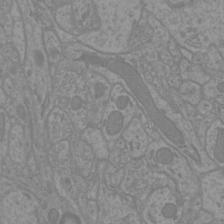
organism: Mouse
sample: Cortical neurons